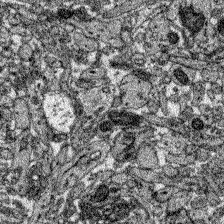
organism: Zebrafish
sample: Larval olfactory bulb